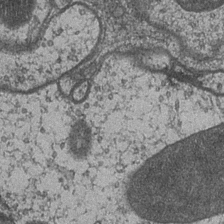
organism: Drosophila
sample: Optic medulla